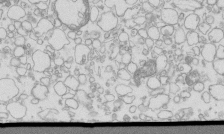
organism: Mouse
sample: Macrophages